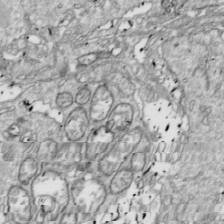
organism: Drosophila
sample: Cell division; meiosis; drosophila spermatocytes